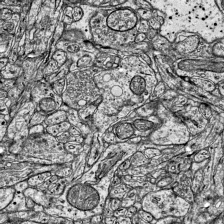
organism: Mouse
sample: Visual Cortex